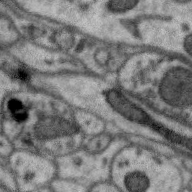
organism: Zebra finch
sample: Brain